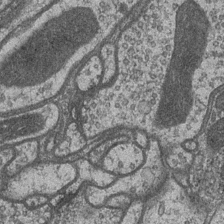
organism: Drosophila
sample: Optic medulla